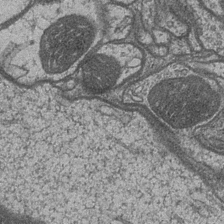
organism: Drosophila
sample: Optic medulla